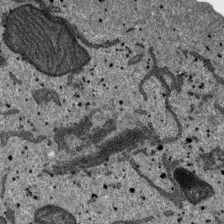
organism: Human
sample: Lung epithelial cells, uninfected (mock) control